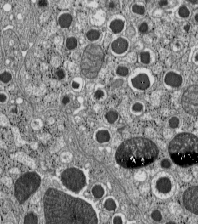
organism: C57BL Mouse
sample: Pancreatic islet